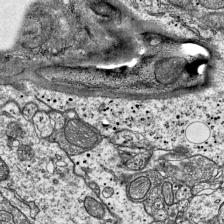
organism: Mouse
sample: Visual Cortex